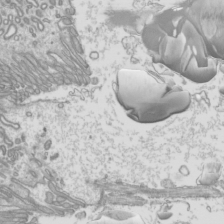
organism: Mouse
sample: Cilia; mouse epididymis